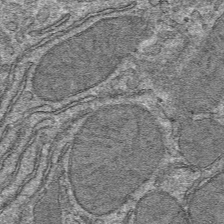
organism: Mouse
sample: Mouse hepatocytes